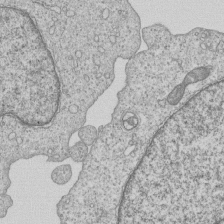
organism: Human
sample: MDA-MB-231 cells